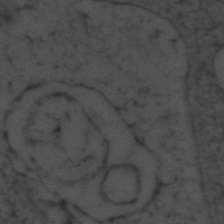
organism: Zebrafish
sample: Zebrafish embryo